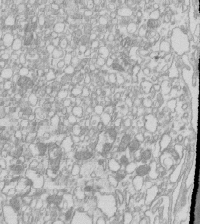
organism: Mouse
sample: Macrophages